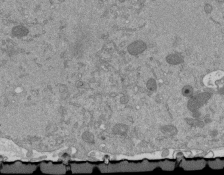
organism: Mouse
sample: ED-1 cell nuclei; centrioles